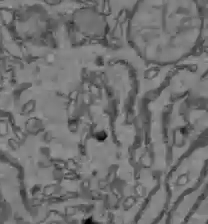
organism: C57BL Mouse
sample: Liver